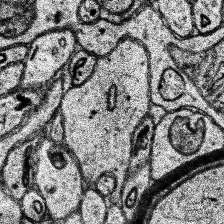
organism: Human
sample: Temporal Lobe